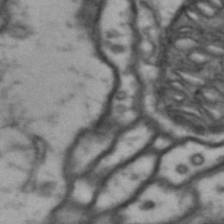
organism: Drosophila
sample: Brain